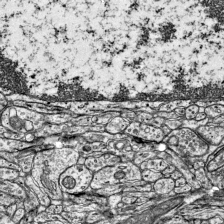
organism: Mouse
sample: Visual Cortex